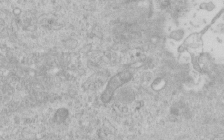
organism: Human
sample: Centriole in RPE cells